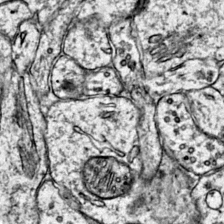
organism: Mouse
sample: Primary visual cortex